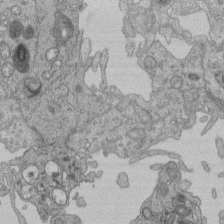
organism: Human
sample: Retinal organoid Rod and Cone cells